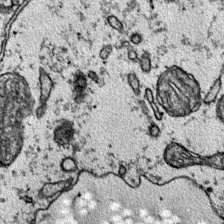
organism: Mouse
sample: Primary visual cortex